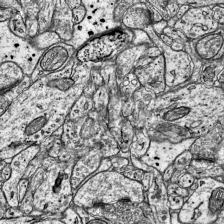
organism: Mouse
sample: Visual Cortex